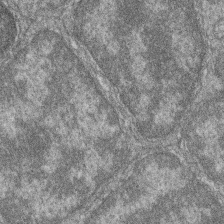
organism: Zebrafish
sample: Cilia; retinal pigment epithelium